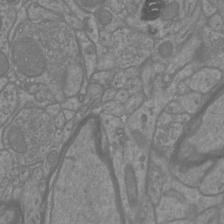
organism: Mouse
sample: Cortical neurons